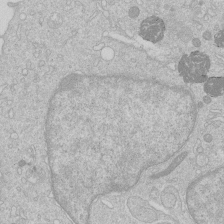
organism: Human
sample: Macrophage cells